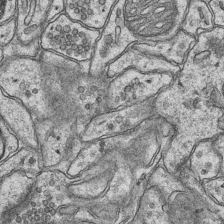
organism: Mouse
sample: CA1 Hippocampus